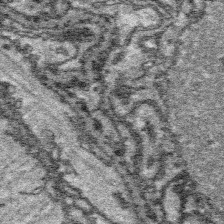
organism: Platynereis dumerilii